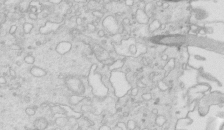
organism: Mouse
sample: Multiciliated cells